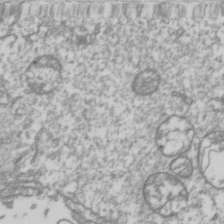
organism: Drosophila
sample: Cell division; meiosis; drosophila spermatocytes